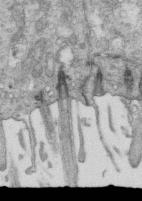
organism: Mouse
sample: Multiciliated cells